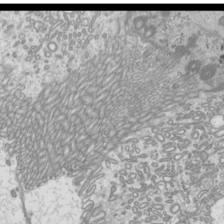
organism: Mouse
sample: Cilia; mouse epididymis